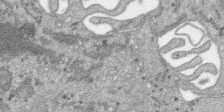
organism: Human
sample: Lung epithelial cells infected with SARS-CoV-2